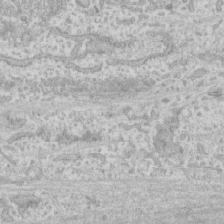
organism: Human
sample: CRL-1474